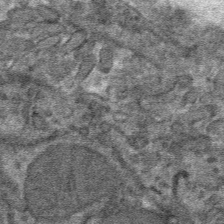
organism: Mouse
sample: Mouse hepatocytes